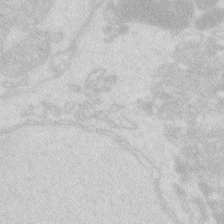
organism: Zebrafish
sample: Macrophage